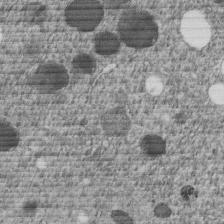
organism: C. elegans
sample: C. elegans embryo early stage